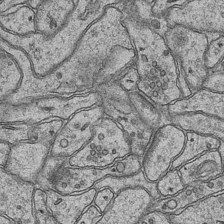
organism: Mouse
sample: CA1 Hippocampus